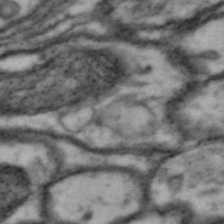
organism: Drosophila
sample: Brain